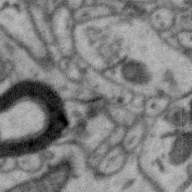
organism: Zebra finch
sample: Brain